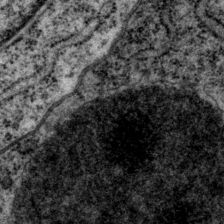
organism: P. pacificus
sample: Pharynx